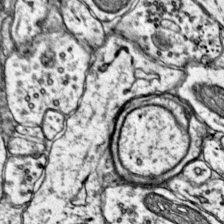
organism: Mouse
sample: Primary visual cortex